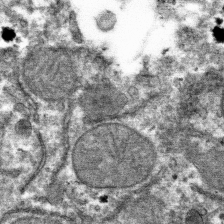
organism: Mouse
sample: Mouse hepatocytes